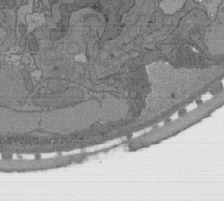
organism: C. elegans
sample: AFD neurons C. elegans